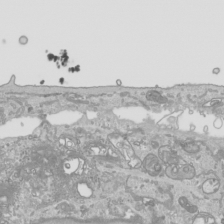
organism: Human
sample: Mitochondria in HCT116 cells